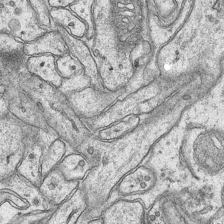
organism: Mouse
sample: CA1 Hippocampus